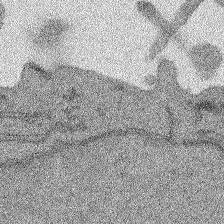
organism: Human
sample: HeLa cells